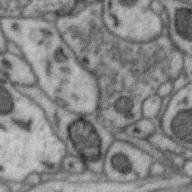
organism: Zebra finch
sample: Brain